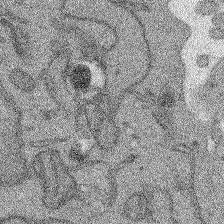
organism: Human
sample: HeLa cells